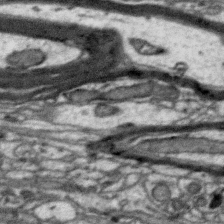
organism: Zebra finch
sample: Brain